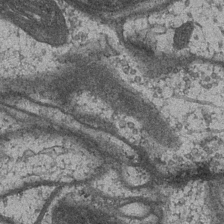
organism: Drosophila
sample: Optic medulla